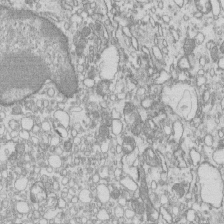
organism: Mouse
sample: Macrophages